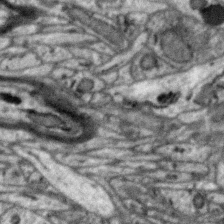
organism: Zebra finch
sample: Brain